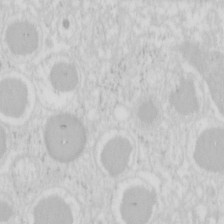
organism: Mouse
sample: Pancreas